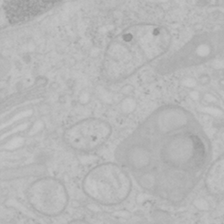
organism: Mouse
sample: OT-I killer T cells with ID8 ovarian cancer cells